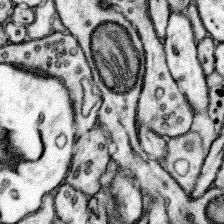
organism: Mouse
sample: Somatosensory cortex neuropil